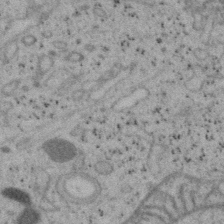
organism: Human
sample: HeLa cells